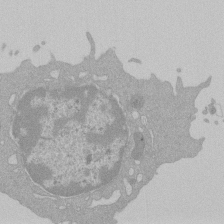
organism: Mouse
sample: Activated Pmel transgenic CD8+ T Cells